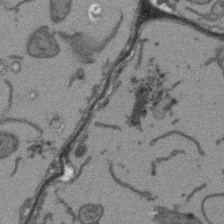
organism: Arabidopsis thaliana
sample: Root tip